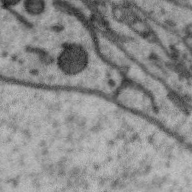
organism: Zebra finch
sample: Brain